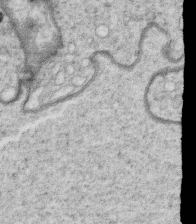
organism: C. elegans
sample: C. elegans oocyte; sperm cells